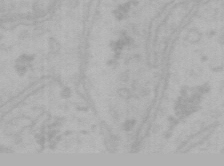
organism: Mouse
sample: Choroid plexus